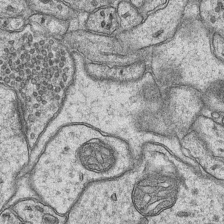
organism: Mouse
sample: CA1 Hippocampus